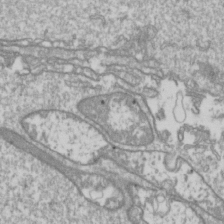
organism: Drosophila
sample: Cell division; meiosis; drosophila spermatocytes